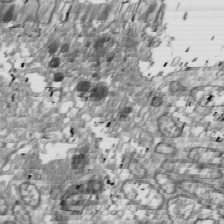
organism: Drosophila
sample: Cell division; meiosis; drosophila spermatocytes